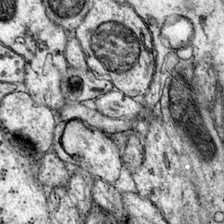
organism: Mouse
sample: Primary visual cortex